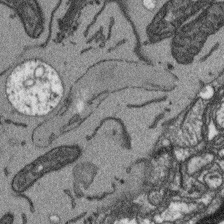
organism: Arabidopsis thaliana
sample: Root tip